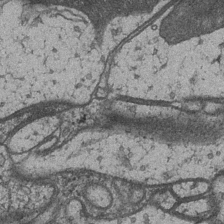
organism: Drosophila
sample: Optic medulla